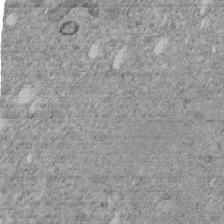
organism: C. elegans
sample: C. elegans embryo early stage